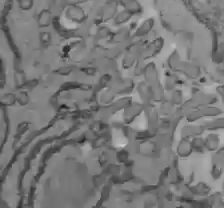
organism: C57BL Mouse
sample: Liver